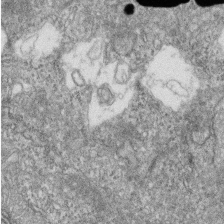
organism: Zebrafish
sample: Cilia; retinal pigment epithelium